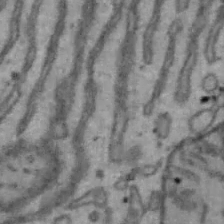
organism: Mouse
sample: Liver